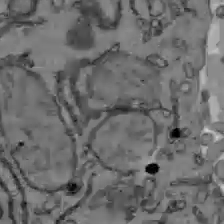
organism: C57BL Mouse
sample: Liver